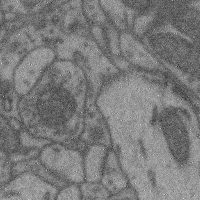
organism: Mouse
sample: Cerebral cortex